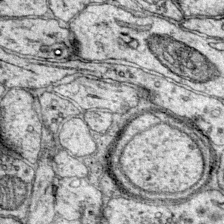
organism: Mouse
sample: Primary visual cortex